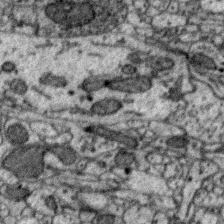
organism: Zebra finch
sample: Brain